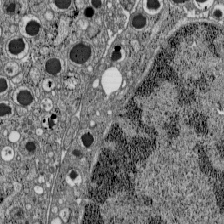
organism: C57BL Mouse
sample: Pancreatic islet